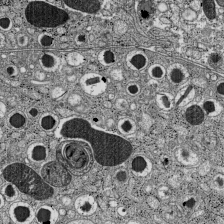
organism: C57BL Mouse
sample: Pancreatic islet